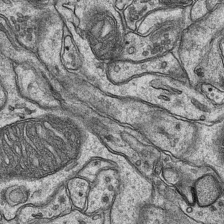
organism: Mouse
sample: CA1 Hippocampus